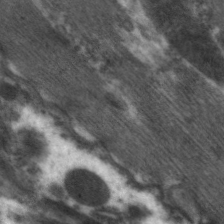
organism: C. elegans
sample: Pharynx